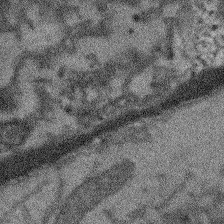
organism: Arabidopsis thaliana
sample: Root tip